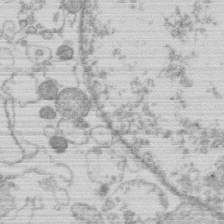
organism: Human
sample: Macrophage cells